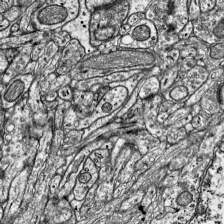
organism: Mouse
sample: Visual Cortex